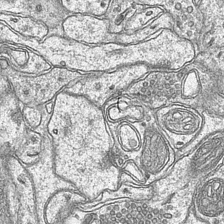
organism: Mouse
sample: CA1 Hippocampus